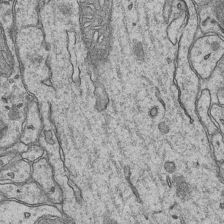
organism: Mouse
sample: CA1 Hippocampus